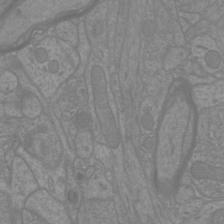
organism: Mouse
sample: Cortical neurons